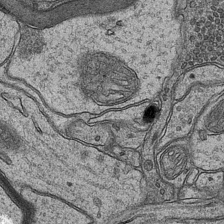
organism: Mouse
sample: CA1 Hippocampus